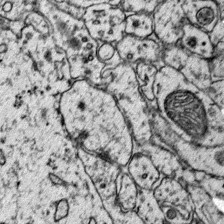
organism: Mouse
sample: Primary visual cortex